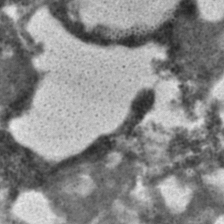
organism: C. elegans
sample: C. elegans embryo